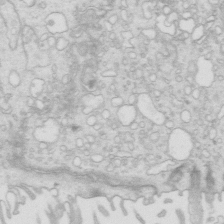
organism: Mouse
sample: Multiciliated cells